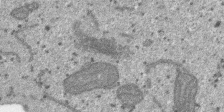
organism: Human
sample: Lung epithelial cells infected with SARS-CoV-2